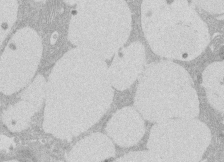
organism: Rat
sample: Salivary granule